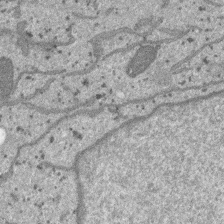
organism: Human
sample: Lung epithelial cells infected with SARS-CoV-2